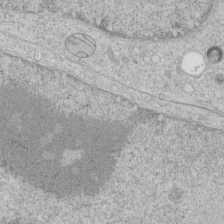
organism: Human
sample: Mitochondria in HCT116 cells